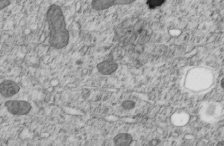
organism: C. elegans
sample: C. elegans embryo early stage